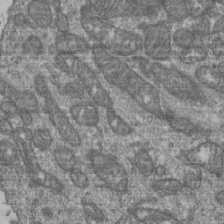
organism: Human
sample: Retinal organoid Rod and Cone cells